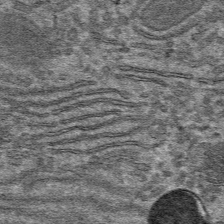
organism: Mouse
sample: Mouse hepatocytes